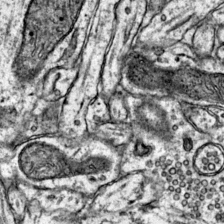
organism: Mouse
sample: Primary visual cortex